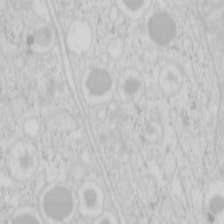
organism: Mouse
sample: Pancreas